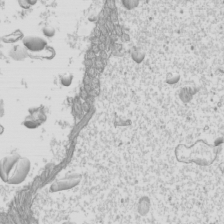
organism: Mouse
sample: Cilia; mouse epididymis